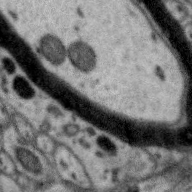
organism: Zebra finch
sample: Brain